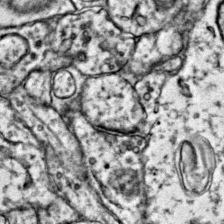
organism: Mouse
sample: Primary visual cortex